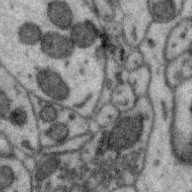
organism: Zebra finch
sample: Brain